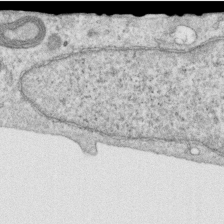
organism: Human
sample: Centriole in RPE cells